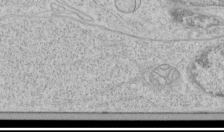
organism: Human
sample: Mitochondria in HCT116 cells